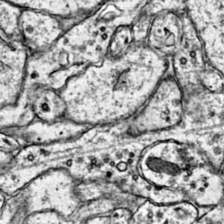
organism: Mouse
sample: Primary visual cortex